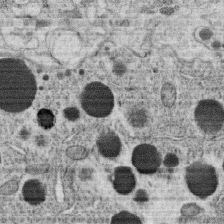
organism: C. elegans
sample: C. elegans oocyte; sperm cells